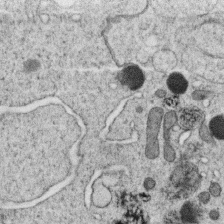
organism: C. elegans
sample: C. elegans oocyte; sperm cells